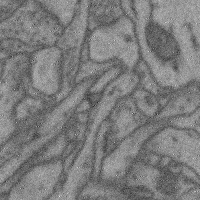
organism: Mouse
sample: Cerebral cortex